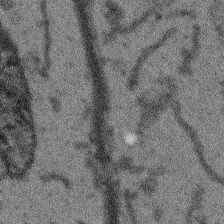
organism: Arabidopsis thaliana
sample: Root tip